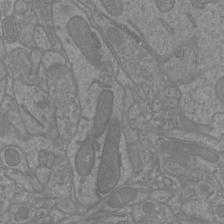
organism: Mouse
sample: Cortical neurons